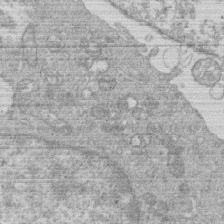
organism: Human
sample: Macrophage cells